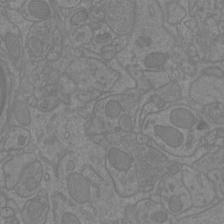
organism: Mouse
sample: Cortical neurons